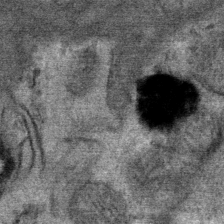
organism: Mouse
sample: Mouse Salivary gland